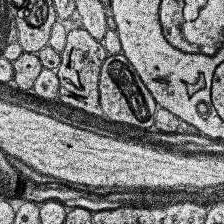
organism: Human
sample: Temporal Lobe